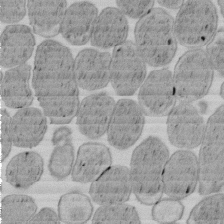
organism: E. coli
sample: Bacterial nucleoid